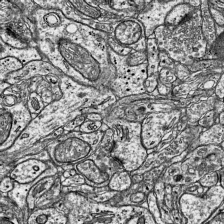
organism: Mouse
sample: Visual Cortex